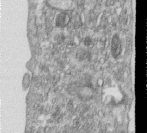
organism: Human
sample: Centriole in RPE cells